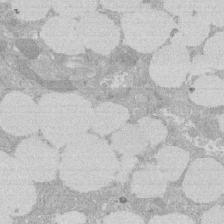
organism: Rat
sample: Salivary granule